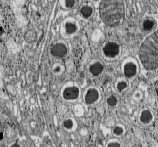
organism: C57BL Mouse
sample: Pancreatic islet